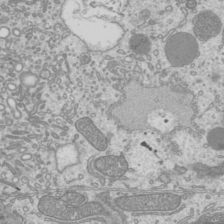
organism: Mouse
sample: Cilia; mouse epididymis